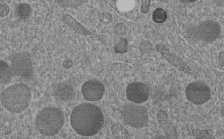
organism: C. elegans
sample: C. elegans embryo early stage